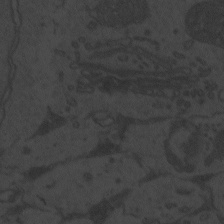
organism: Zebrafish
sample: Macrophage infected with Toxoplasma gondii